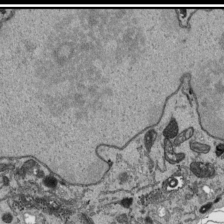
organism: Human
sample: Mitochondria in HCT116 cells